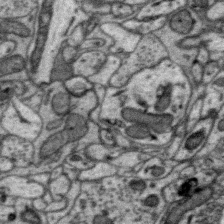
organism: Zebra finch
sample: Brain